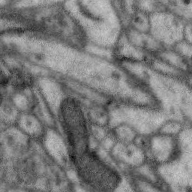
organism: Zebra finch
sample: Brain